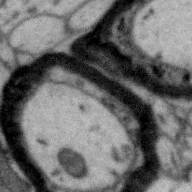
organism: Zebra finch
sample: Brain